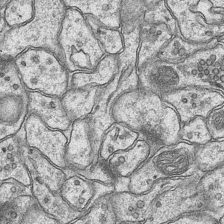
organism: Mouse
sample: CA1 Hippocampus